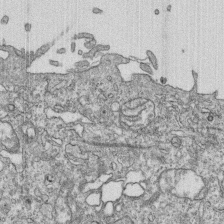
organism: Human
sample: HeLa cell HIV synapse